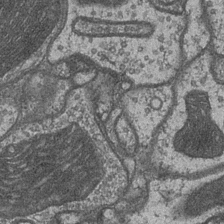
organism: Drosophila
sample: Optic medulla